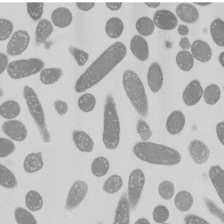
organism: E. coli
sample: Bacterial nucleoid